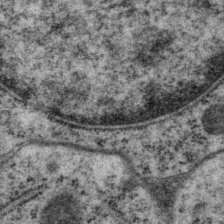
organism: P. pacificus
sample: Pharynx